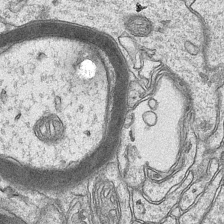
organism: Mouse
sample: CA1 Hippocampus